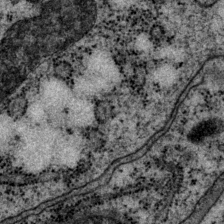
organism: P. pacificus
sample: Pharynx